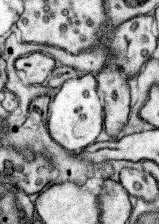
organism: Mouse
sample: Somatosensory cortex neuropil